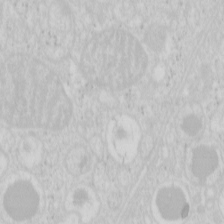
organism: Mouse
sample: Pancreas